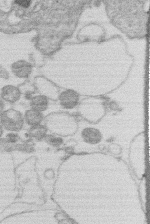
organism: Human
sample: Macrophage cells